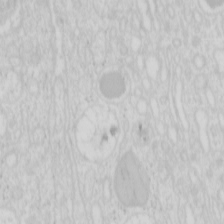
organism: Mouse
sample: Pancreas